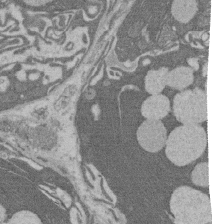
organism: Rat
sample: Salivary granule